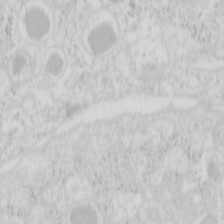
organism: Mouse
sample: Pancreas